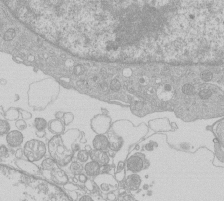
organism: Human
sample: Macrophage cells